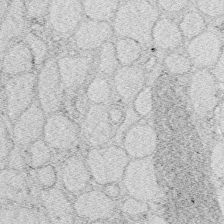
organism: Zebrafish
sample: Whole-Brain